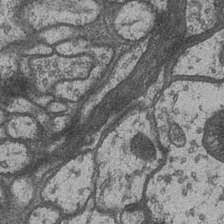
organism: Drosophila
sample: Optic medulla